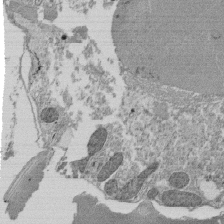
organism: Tetrahymena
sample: Cilia in tetrahymena